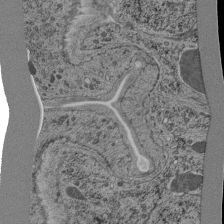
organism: C. elegans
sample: C. elegans pharynx